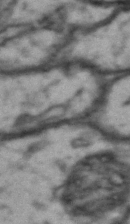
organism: Drosophila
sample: Brain